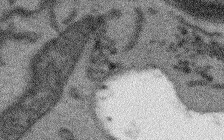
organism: Arabidopsis thaliana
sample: Root tip